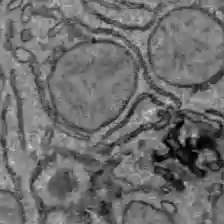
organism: C57BL Mouse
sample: Liver